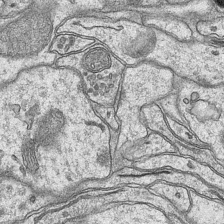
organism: Mouse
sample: CA1 Hippocampus